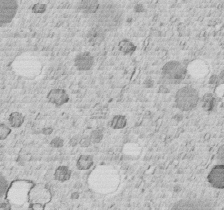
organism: C. elegans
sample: C. elegans embryo early stage